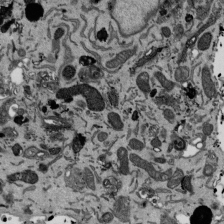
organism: Mouse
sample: ED-1 cell nuclei; centrioles